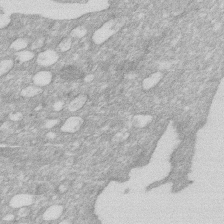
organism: Human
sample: HIV infected U937 cells